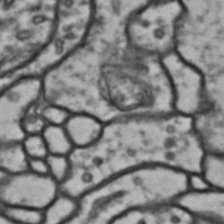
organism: Drosophila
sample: Brain